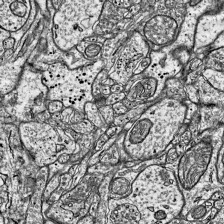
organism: Mouse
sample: Visual Cortex